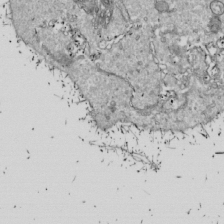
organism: Drosophila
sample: Cell division; meiosis; drosophila spermatocytes